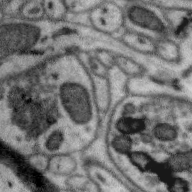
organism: Zebra finch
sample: Brain